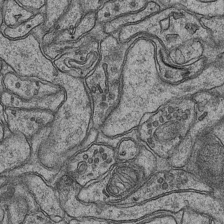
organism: Mouse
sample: CA1 Hippocampus